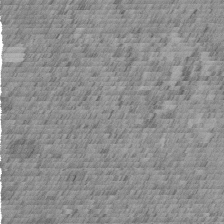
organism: C. elegans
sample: C. elegans embryo early stage